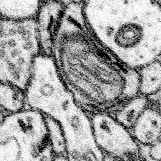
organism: Mouse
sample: Somatosensory cortex neuropil